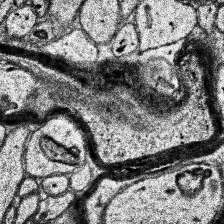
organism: Human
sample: Temporal Lobe